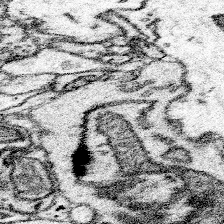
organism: Mouse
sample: Somatosensory cortex neuropil